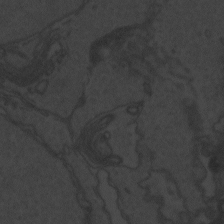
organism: Zebrafish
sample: Macrophage infected with Toxoplasma gondii